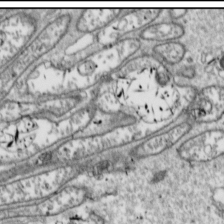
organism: Drosophila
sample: Cell division; meiosis; drosophila spermatocytes